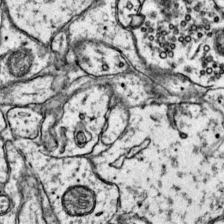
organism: Mouse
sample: Primary visual cortex